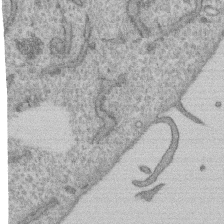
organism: Human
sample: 1205lu cells